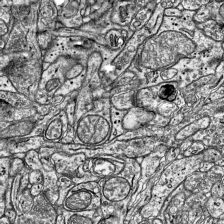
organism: Mouse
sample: Visual Cortex